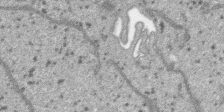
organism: Human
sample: Lung epithelial cells infected with SARS-CoV-2